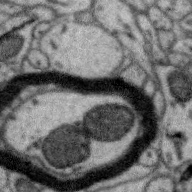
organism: Zebra finch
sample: Brain